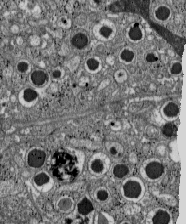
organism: C57BL Mouse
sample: Pancreatic islet